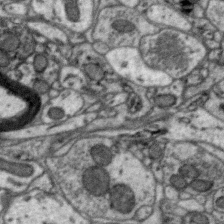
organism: Zebra finch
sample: Brain